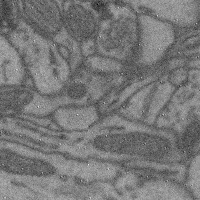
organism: Mouse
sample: Cerebral cortex